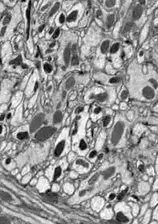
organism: Drosophila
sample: Optic lobe